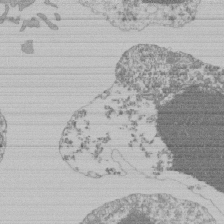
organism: Mouse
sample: Activated Pmel transgenic CD8+ T Cells